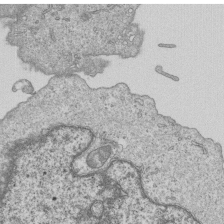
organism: Human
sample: MDA-MB-231 cells